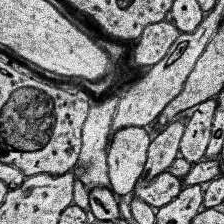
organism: Human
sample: Temporal Lobe